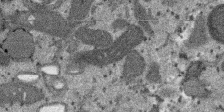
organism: Human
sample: Lung epithelial cells infected with SARS-CoV-2